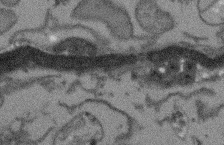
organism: Arabidopsis thaliana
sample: Root tip